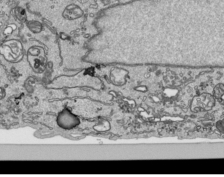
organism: Human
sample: Mitochondria in HCT116 cells